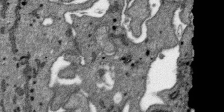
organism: Human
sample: Lung epithelial cells, uninfected (mock) control